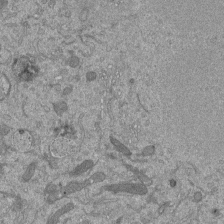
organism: Mouse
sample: ED-1 cell nuclei; centrioles